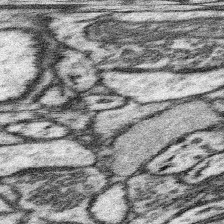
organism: Mouse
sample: Somatosensory cortex neuropil